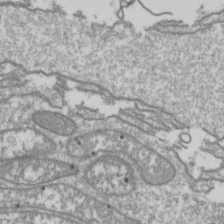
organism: Drosophila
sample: Cell division; meiosis; drosophila spermatocytes